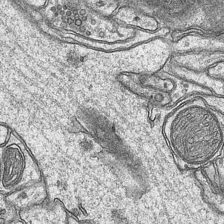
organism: Mouse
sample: CA1 Hippocampus